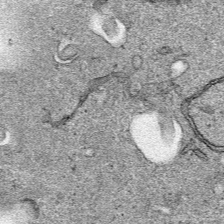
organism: Human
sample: Mitochondria in HCT116 cells